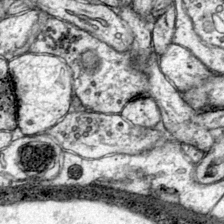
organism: Mouse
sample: Primary visual cortex